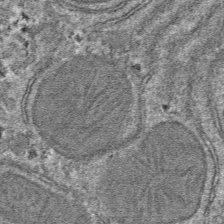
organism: Mouse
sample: Mouse hepatocytes